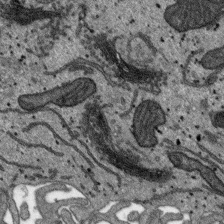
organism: Human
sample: Lung epithelial cells, uninfected (mock) control